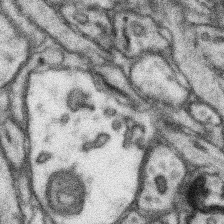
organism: Mouse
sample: Somatosensory cortex neuropil